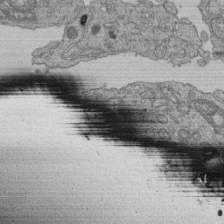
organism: Human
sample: Retinal organoid Rod and Cone cells